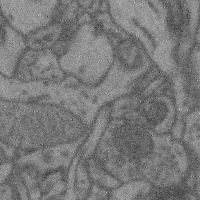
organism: Mouse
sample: Cerebral cortex